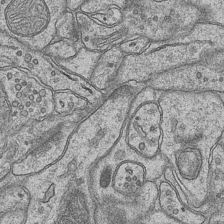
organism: Mouse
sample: CA1 Hippocampus